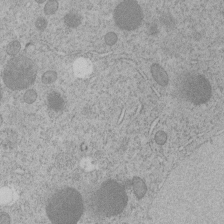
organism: C. elegans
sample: C. elegans embryo early stage